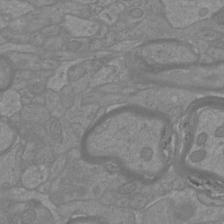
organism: Mouse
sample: Cortical neurons